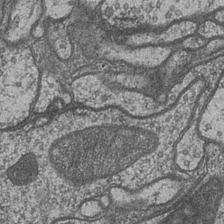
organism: Drosophila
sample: Optic medulla